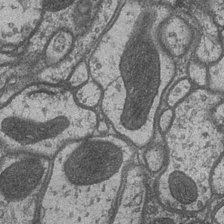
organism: Drosophila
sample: Optic medulla